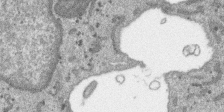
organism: Human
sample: Lung epithelial cells infected with SARS-CoV-2